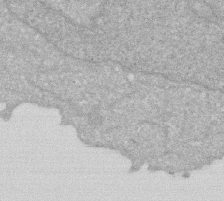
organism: Human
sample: HIV infected U937 cells